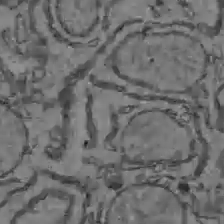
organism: C57BL Mouse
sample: Liver